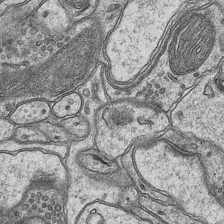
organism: Mouse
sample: CA1 Hippocampus